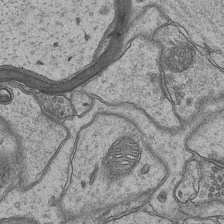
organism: Mouse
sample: CA1 Hippocampus